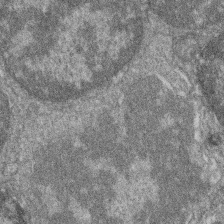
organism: Zebrafish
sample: Cilia; retinal pigment epithelium